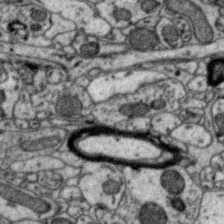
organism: Zebra finch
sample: Brain